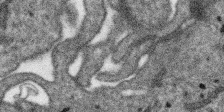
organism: Human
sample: Lung epithelial cells infected with SARS-CoV-2